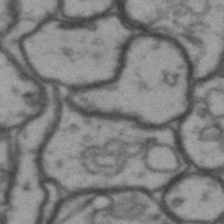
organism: Drosophila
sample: Brain